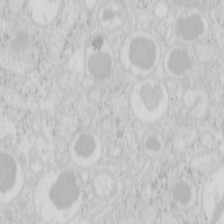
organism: Mouse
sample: Pancreas